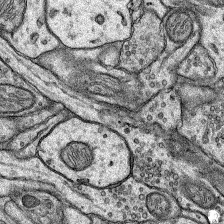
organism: Rat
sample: Hippocampus